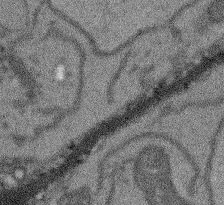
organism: Arabidopsis thaliana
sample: Root tip